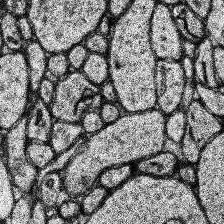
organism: Human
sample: Temporal Lobe